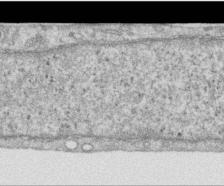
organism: Human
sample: Centriole in RPE cells